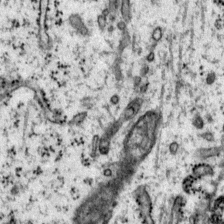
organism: Mouse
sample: Primary visual cortex